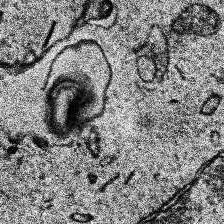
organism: Human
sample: Temporal Lobe